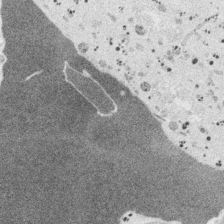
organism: Embia sp.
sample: Silk gland